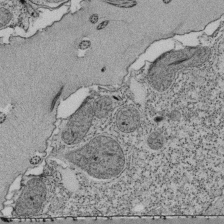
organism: Tetrahymena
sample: Cilia in tetrahymena